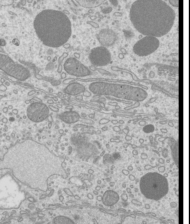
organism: Mouse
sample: Cilia; mouse epididymis